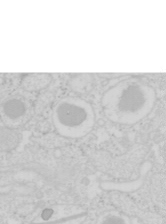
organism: Mouse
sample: Pancreas